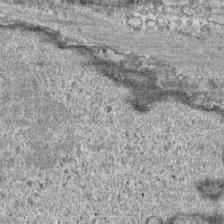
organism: Human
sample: CRL-1474